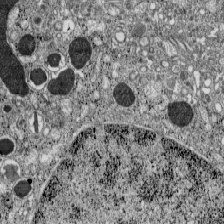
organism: C57BL Mouse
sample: Pancreatic islet